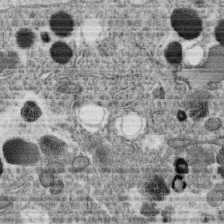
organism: C. elegans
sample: C. elegans oocyte; sperm cells